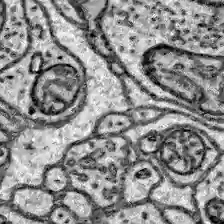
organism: Zebrafish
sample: Brain